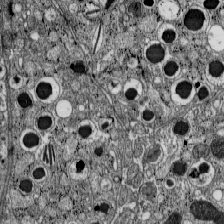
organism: C57BL Mouse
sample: Pancreatic islet